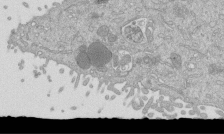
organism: Mouse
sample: ED-1 cell nuclei; centrioles